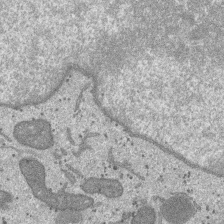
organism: Human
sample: Lung epithelial cells infected with SARS-CoV-2